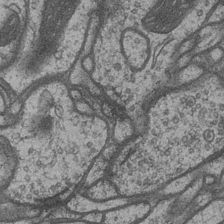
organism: Drosophila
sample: Optic medulla